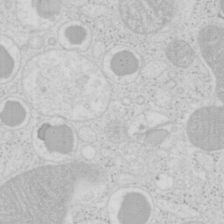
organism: Mouse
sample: Pancreas